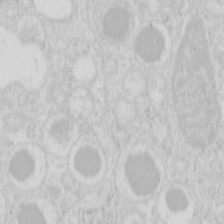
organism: Mouse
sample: Pancreas